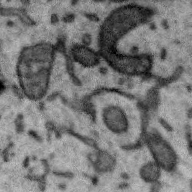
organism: Zebra finch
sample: Brain